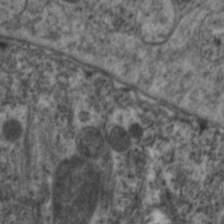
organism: C. elegans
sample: Pharynx